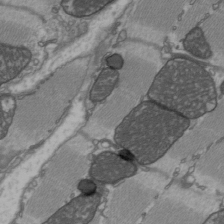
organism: C57BL Mouse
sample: Heart